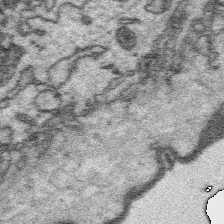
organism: Platynereis dumerilii